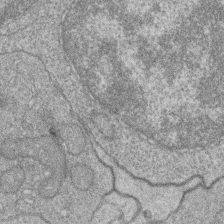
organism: Zebrafish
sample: Cilia; retinal pigment epithelium